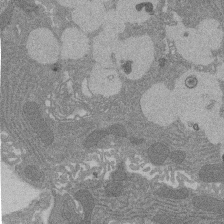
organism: Rat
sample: Salivary granule